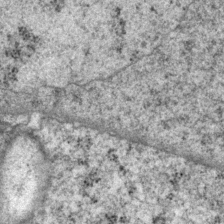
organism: P. pacificus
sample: Pharynx